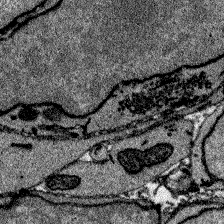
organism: Zebrafish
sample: Larval olfactory bulb